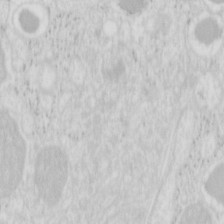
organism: Mouse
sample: Pancreas